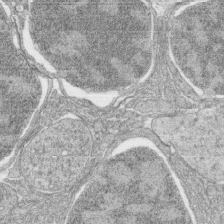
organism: Zebrafish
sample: synaptic ribbons in rod cells and cone cells